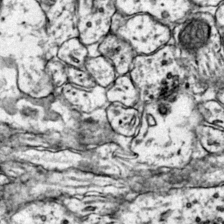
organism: Mouse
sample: Primary visual cortex